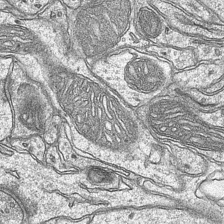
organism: Mouse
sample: CA1 Hippocampus